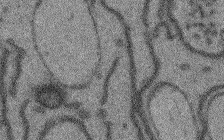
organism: Arabidopsis thaliana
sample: Root tip